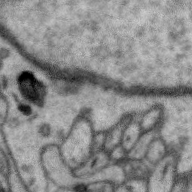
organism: Zebra finch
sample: Brain